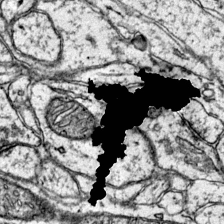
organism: Mouse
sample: Primary visual cortex